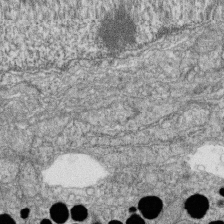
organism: Zebrafish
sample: Cilia; retinal pigment epithelium